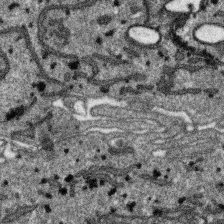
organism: Human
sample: Lung epithelial cells infected with SARS-CoV-2